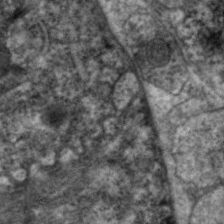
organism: C. elegans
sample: Pharynx